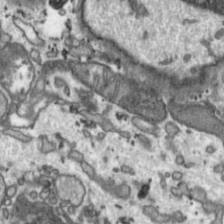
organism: Toxoplasma gondii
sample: Parasites in a vacuole inside a host cell